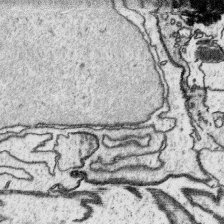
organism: Platynereis dumerilii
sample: Parapodia